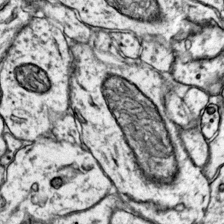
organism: Mouse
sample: Primary visual cortex